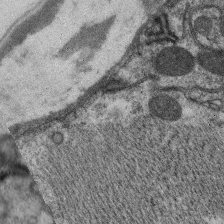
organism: C. elegans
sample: Pharynx